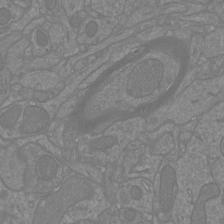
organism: Mouse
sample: Cortical neurons